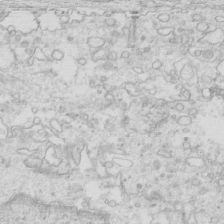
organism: Mouse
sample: Multiciliated cells